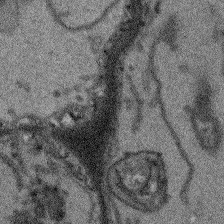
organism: Arabidopsis thaliana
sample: Root tip